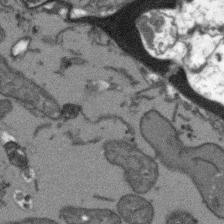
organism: Arabidopsis thaliana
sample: Root tip